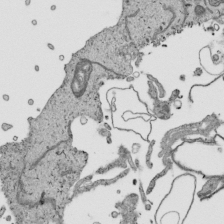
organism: Human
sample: Mitochondria in HCT116 cells